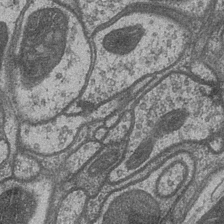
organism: Drosophila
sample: Optic medulla